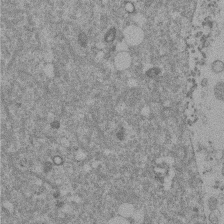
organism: Mouse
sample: Dividing mouse embryo 1 cell stage